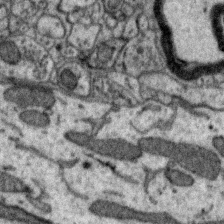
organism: Zebra finch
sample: Brain